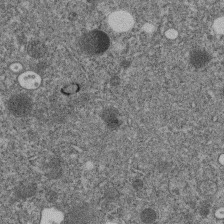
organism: C. elegans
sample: C. elegans embryo early stage